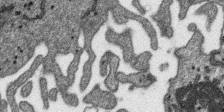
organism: Human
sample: Lung epithelial cells infected with SARS-CoV-2